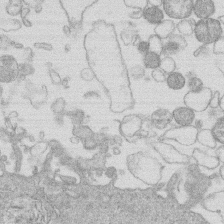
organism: Human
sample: Macrophage cells